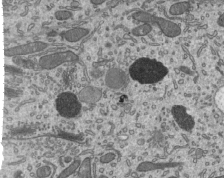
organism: Mouse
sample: Mouse epididymis efferent ductule cilia